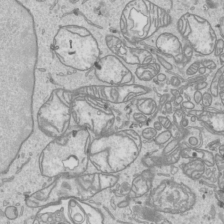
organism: Human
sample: Mitochondria in HCT116 cells